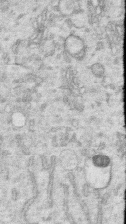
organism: Human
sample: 1205lu cells